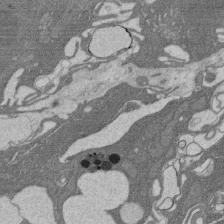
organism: Rat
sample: Salivary granule